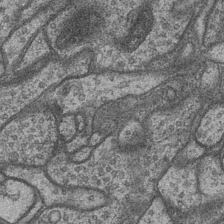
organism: Drosophila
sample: Optic medulla